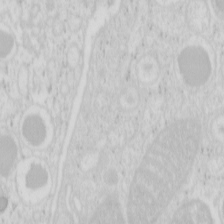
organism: Mouse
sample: Pancreas